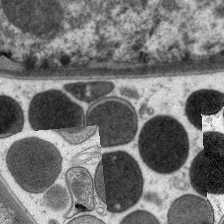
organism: C. elegans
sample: Pharynx